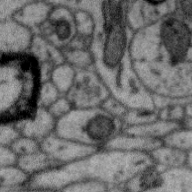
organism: Zebra finch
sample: Brain